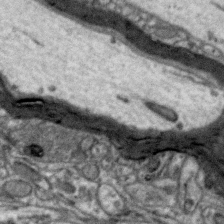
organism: Zebra finch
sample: Brain